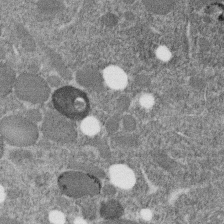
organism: C. elegans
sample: C. elegans embryo early stage